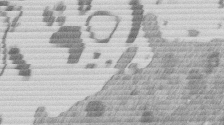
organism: Mouse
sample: Dividing mouse embryo 1 cell stage